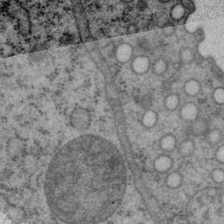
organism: P. pacificus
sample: Pharynx